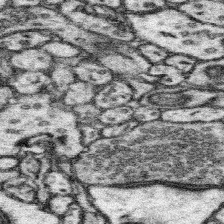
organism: Mouse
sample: Somatosensory cortex neuropil